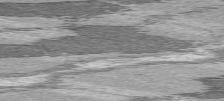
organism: C57BL Mouse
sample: Heart